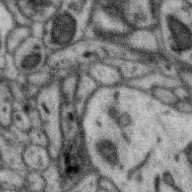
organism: Zebra finch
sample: Brain